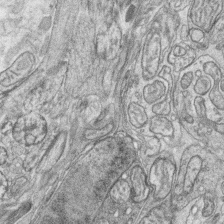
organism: Zebrafish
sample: synaptic ribbons in rod cells and cone cells